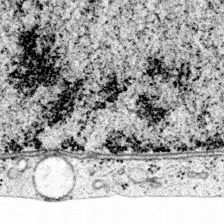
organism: Human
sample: HeLa cells